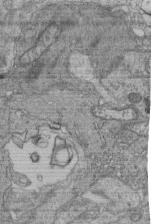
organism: Human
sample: Retinal organoid Rod and Cone cells